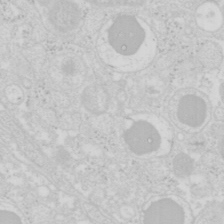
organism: Mouse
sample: Pancreas